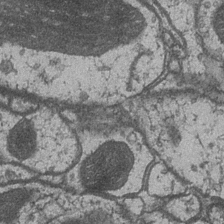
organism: Drosophila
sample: Optic medulla